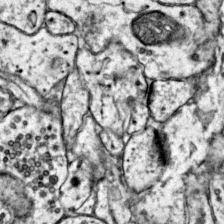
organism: Mouse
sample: Primary visual cortex